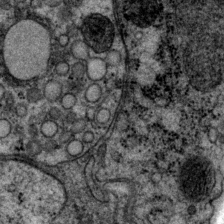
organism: P. pacificus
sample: Pharynx